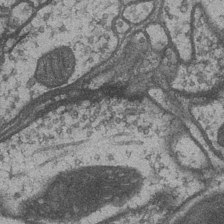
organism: Drosophila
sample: Optic medulla